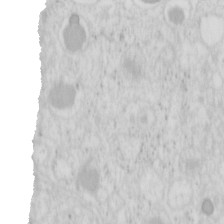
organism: Mouse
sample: Pancreas